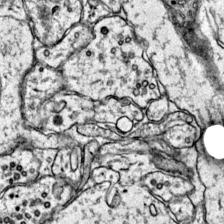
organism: Mouse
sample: Primary visual cortex